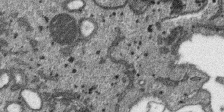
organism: Human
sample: Lung epithelial cells infected with SARS-CoV-2